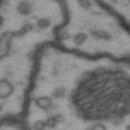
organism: Drosophila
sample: Brain